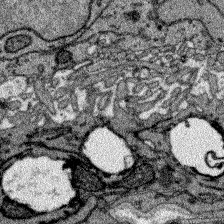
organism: Zebrafish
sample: Larval olfactory bulb